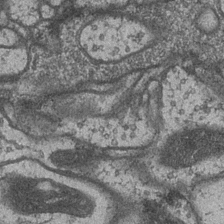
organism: Drosophila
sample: Optic medulla